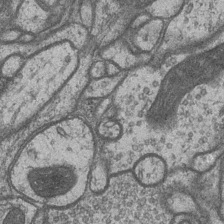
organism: Drosophila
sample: Optic medulla